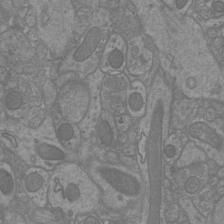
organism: Mouse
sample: Cortical neurons